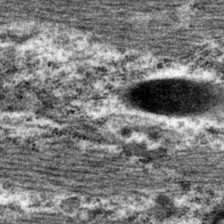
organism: P. pacificus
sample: Pharynx